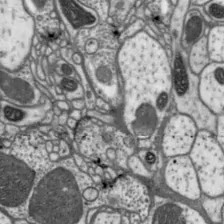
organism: Drosophila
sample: Protocerebral bridge